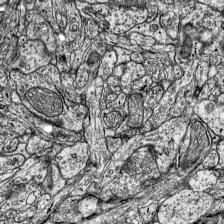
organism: Mouse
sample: Visual Cortex